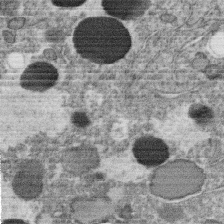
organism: C. elegans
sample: C. elegans oocyte; sperm cells